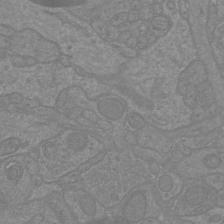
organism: Mouse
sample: Cortical neurons